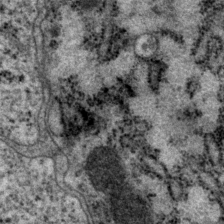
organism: P. pacificus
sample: Pharynx